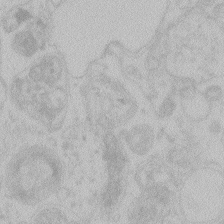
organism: Zebrafish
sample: Macrophage infected with Toxoplasma gondii